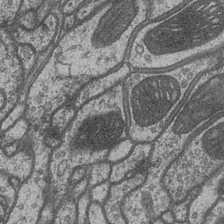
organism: Drosophila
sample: Optic medulla